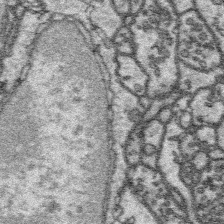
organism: Platynereis dumerilii